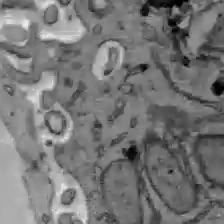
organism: C57BL Mouse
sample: Liver